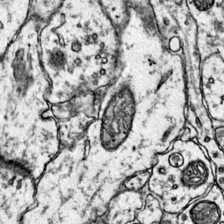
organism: Mouse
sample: Primary visual cortex